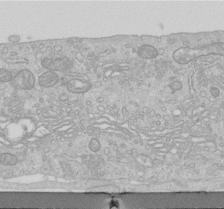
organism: Human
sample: Centriole in RPE cells